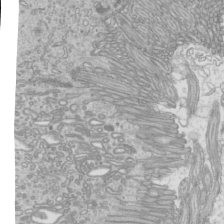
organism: Mouse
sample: Cilia; mouse epididymis